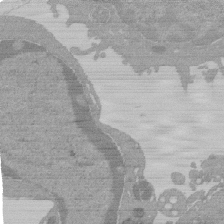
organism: Mouse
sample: Activated Pmel transgenic CD8+ T Cells